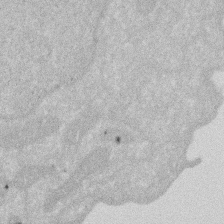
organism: Human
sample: HIV infected U937 cells